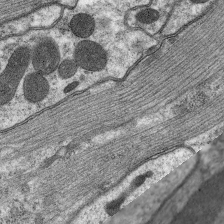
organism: C. elegans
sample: Pharynx